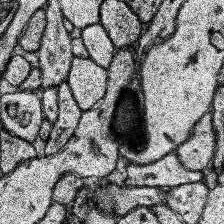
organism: Human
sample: Temporal Lobe